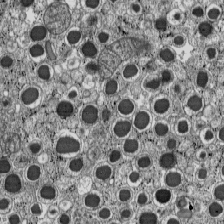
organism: C57BL Mouse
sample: Pancreatic islet